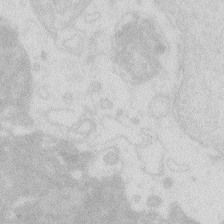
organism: Zebrafish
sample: Macrophage